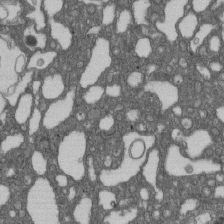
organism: Drosophila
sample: Nephrocyte